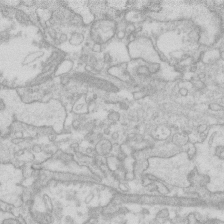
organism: Human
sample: Fibroblast cells